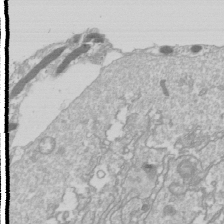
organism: Drosophila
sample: Cell division; meiosis; drosophila spermatocytes